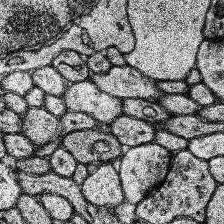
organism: Human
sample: Temporal Lobe